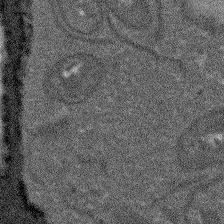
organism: Arabidopsis thaliana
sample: Root tip